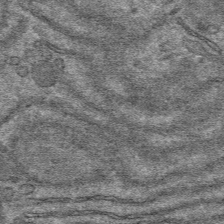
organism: Mouse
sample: Mouse hepatocytes